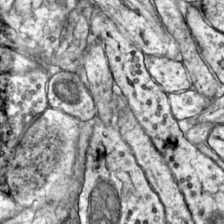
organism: Mouse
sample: Primary visual cortex